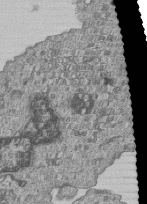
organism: Human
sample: MDA-MB-231 cells